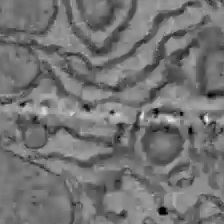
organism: C57BL Mouse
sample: Liver